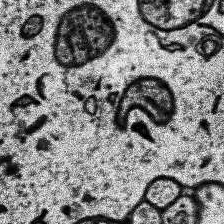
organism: Human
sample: Temporal Lobe